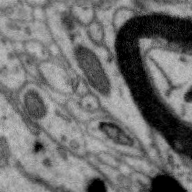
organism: Zebra finch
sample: Brain